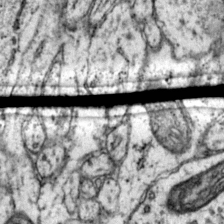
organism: Mouse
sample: Primary visual cortex